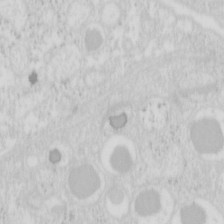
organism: Mouse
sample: Pancreas